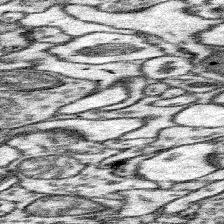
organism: Mouse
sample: Somatosensory cortex neuropil